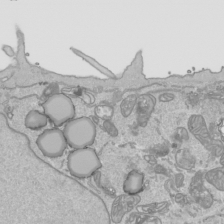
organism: Human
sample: Mitochondria in HCT116 cells